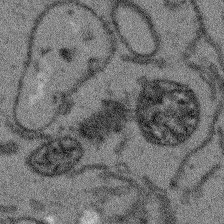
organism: Arabidopsis thaliana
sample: Root tip